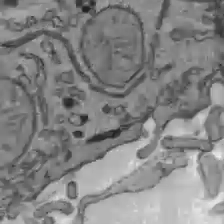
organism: C57BL Mouse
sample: Liver